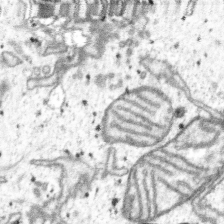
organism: Human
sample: HeLa cells